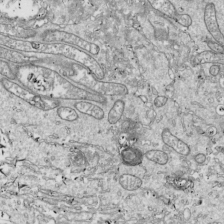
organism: Drosophila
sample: Cell division; meiosis; drosophila spermatocytes